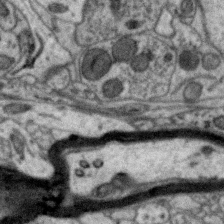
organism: Zebra finch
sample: Brain